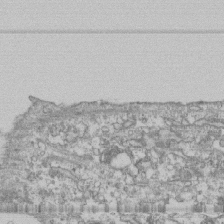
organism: Human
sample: Fibroblast cells